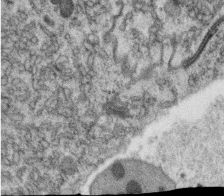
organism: C. elegans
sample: C. elegans oocyte; sperm cells